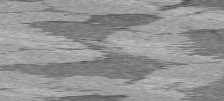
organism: C57BL Mouse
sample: Heart